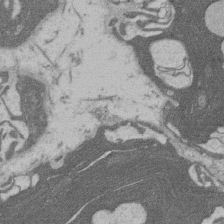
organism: Rat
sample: Salivary granule